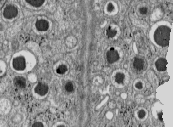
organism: C57BL Mouse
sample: Pancreatic islet